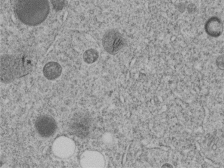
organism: C. elegans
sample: C. elegans embryo early stage